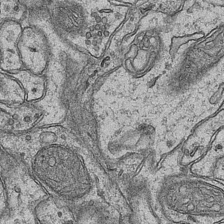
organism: Mouse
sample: CA1 Hippocampus